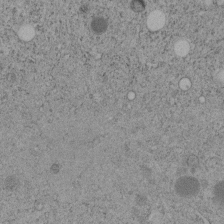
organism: C. elegans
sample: C. elegans embryo early stage